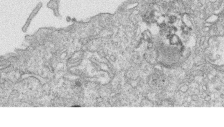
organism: Human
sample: HeLa cell HIV synapse